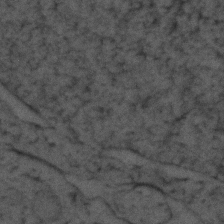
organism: Zebrafish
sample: Zebrafish embryo